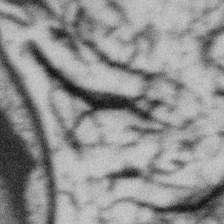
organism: Gemmata obscuriglobus